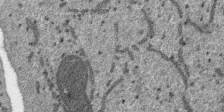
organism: Human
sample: Lung epithelial cells infected with SARS-CoV-2